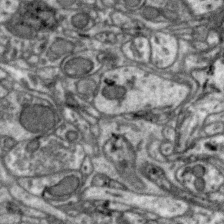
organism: Zebra finch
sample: Brain